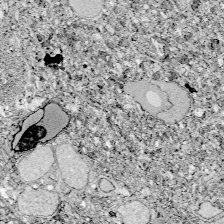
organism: Zebrafish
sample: Whole-Brain